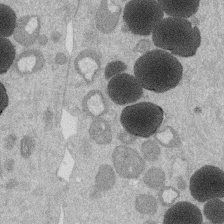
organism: Mouse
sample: Dividing mouse embryo 1 cell stage